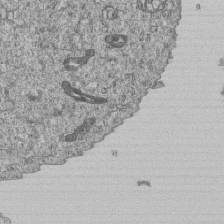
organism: Human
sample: MDA-MB-231 cells